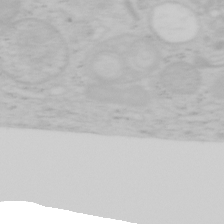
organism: Mouse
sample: OT-I killer T cells with ID8 ovarian cancer cells